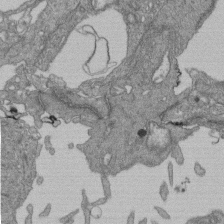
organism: Human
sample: Retinal organoid Rod and Cone cells